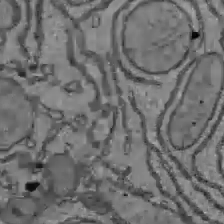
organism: C57BL Mouse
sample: Liver